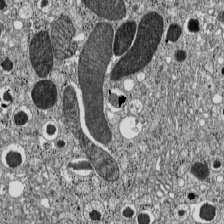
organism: C57BL Mouse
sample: Pancreatic islet